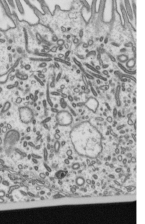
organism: Mouse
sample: Mouse epididymis efferent ductule cilia